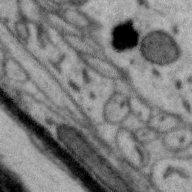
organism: Zebra finch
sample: Brain